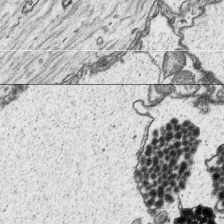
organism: Platynereis dumerilii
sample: Parapodia